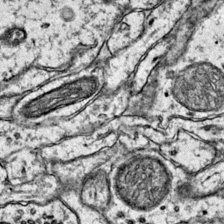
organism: Mouse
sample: Primary visual cortex